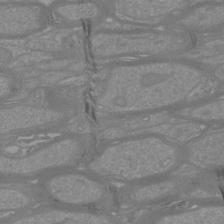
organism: Mouse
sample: Cortical neurons